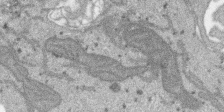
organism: Human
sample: Lung epithelial cells infected with SARS-CoV-2